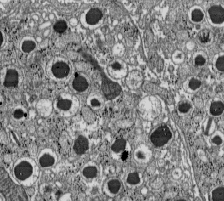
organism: C57BL Mouse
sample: Pancreatic islet